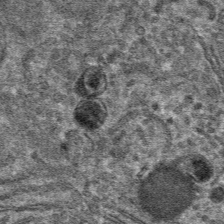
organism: Mouse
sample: Mouse hepatocytes